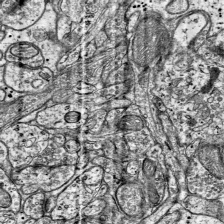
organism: Mouse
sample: Visual Cortex